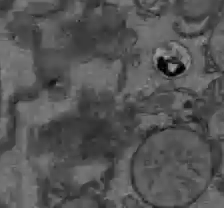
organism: C57BL Mouse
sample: Liver